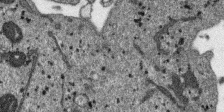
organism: Human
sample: Lung epithelial cells infected with SARS-CoV-2